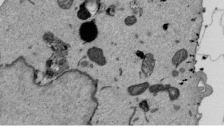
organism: Mouse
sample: ED-1 cell nuclei; centrioles